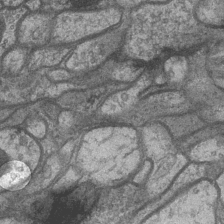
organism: Drosophila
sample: Optic medulla